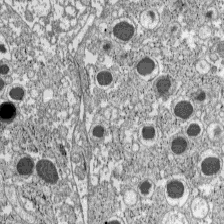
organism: C57BL Mouse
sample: Pancreatic islet